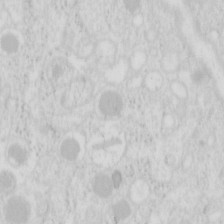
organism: Mouse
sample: Pancreas